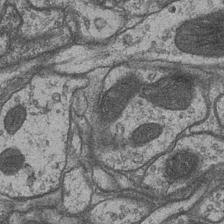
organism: Drosophila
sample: Optic medulla